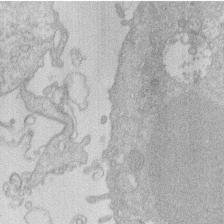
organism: Human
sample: Macrophage cells